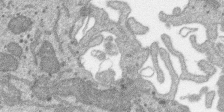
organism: Human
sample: Lung epithelial cells infected with SARS-CoV-2